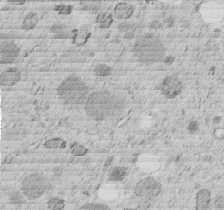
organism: C. elegans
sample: C. elegans embryo early stage